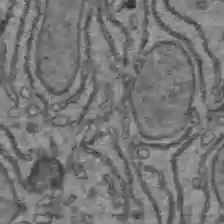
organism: C57BL Mouse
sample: Liver